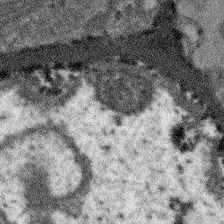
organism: Arabidopsis thaliana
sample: Root tip